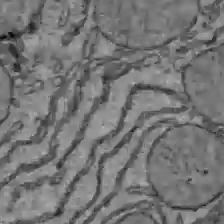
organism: C57BL Mouse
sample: Liver